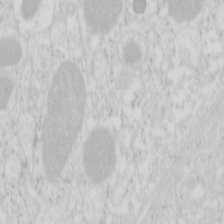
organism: Mouse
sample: Pancreas